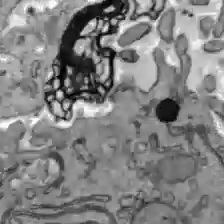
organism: C57BL Mouse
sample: Liver